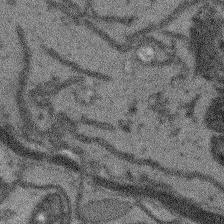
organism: Arabidopsis thaliana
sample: Root tip